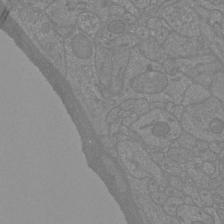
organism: Mouse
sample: Cortical neurons